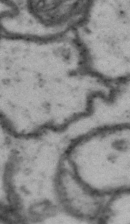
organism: Drosophila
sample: Brain